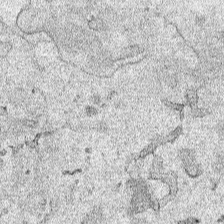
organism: Human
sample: Mitochondria in HCT116 cells